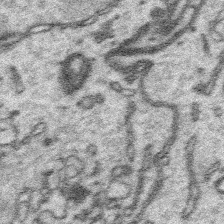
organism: Platynereis dumerilii